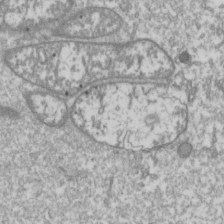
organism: Drosophila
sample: Cell division; meiosis; drosophila spermatocytes